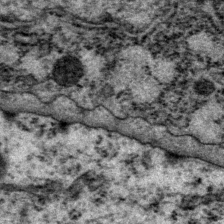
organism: P. pacificus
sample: Pharynx